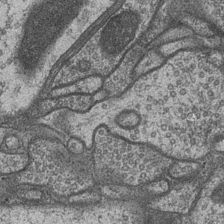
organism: Drosophila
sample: Optic medulla